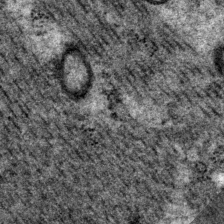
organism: P. pacificus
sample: Pharynx